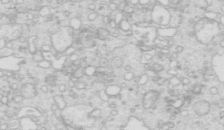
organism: Mouse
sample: Multiciliated cells